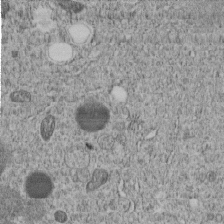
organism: C. elegans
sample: C. elegans embryo early stage